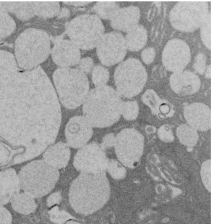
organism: Rat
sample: Salivary granule